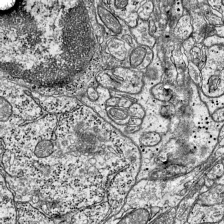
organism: Mouse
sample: Visual Cortex